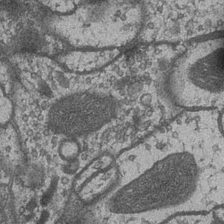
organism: Drosophila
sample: Optic medulla